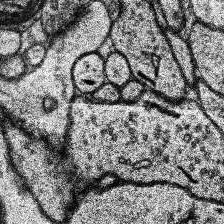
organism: Human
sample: Temporal Lobe